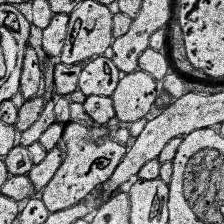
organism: Human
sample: Temporal Lobe